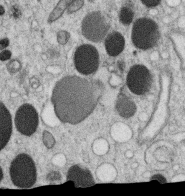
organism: C. elegans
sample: C. elegans oocyte; sperm cells